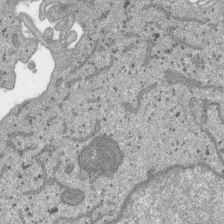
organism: Human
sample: Lung epithelial cells infected with SARS-CoV-2